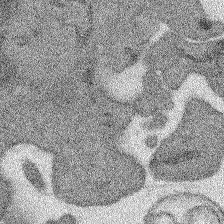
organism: Human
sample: HeLa cells